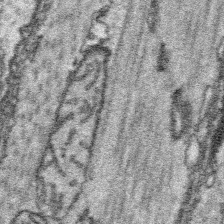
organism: Platynereis dumerilii